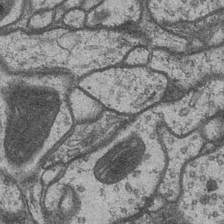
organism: Drosophila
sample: Optic medulla